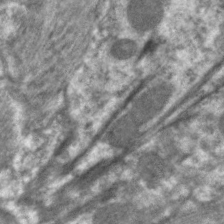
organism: C. elegans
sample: Pharynx